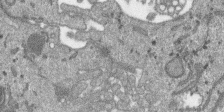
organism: Human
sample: Lung epithelial cells infected with SARS-CoV-2